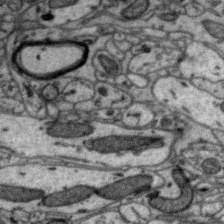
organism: Zebra finch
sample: Brain